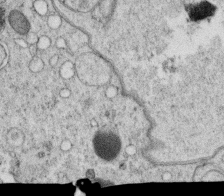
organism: C. elegans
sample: C. elegans oocyte; sperm cells